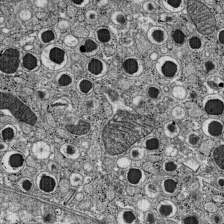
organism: C57BL Mouse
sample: Pancreatic islet